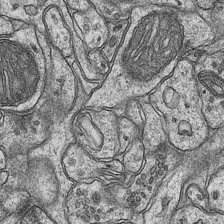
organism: Mouse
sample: CA1 Hippocampus